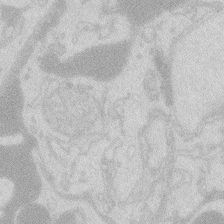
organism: Zebrafish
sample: Macrophage